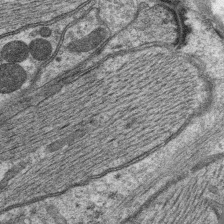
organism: C. elegans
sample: Pharynx